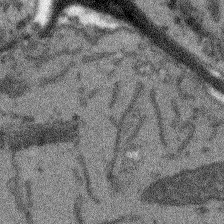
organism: Arabidopsis thaliana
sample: Root tip